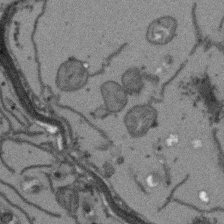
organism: Arabidopsis thaliana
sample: Root tip